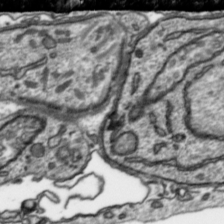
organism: Toxoplasma gondii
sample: Parasites in a vacuole inside a host cell